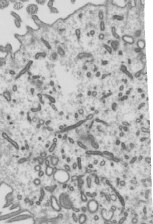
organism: Mouse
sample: Mouse epididymis efferent ductule cilia